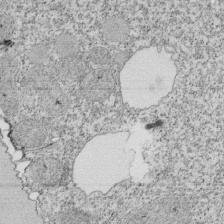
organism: Tetrahymena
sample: Cilia in tetrahymena